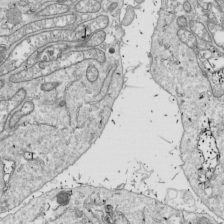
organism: Drosophila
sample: Cell division; meiosis; drosophila spermatocytes